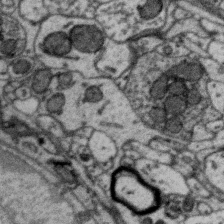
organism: Zebra finch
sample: Brain